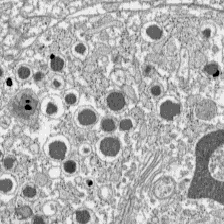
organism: C57BL Mouse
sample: Pancreatic islet